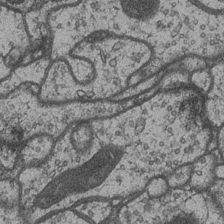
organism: Drosophila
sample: Optic medulla